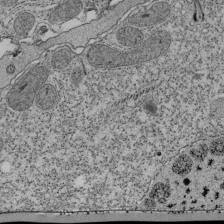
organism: Tetrahymena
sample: Cilia in tetrahymena